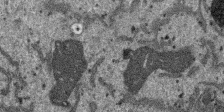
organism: Human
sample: Lung epithelial cells infected with SARS-CoV-2